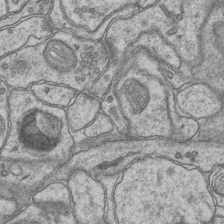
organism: Mouse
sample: CA1 Hippocampus